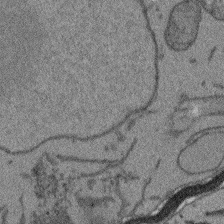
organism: Arabidopsis thaliana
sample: Root tip